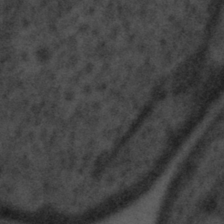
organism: Tuwongella immobilis